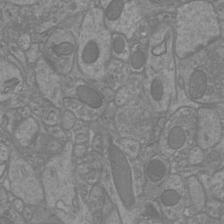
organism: Mouse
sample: Cortical neurons